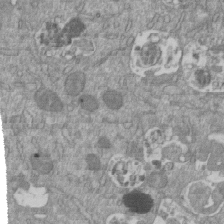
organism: Mouse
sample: ED-1 cell nuclei; centrioles